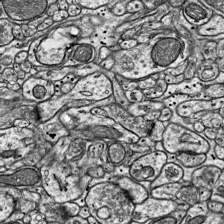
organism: Mouse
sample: Visual Cortex